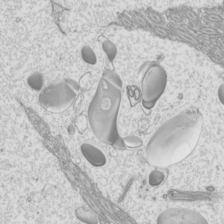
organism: Mouse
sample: Cilia; mouse epididymis